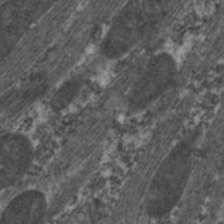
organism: C. elegans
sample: Pharynx